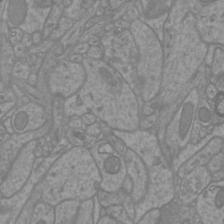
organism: Mouse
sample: Cortical neurons